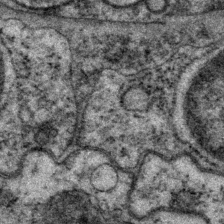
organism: P. pacificus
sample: Pharynx